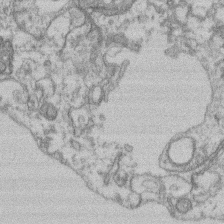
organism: Mouse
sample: T cell stromal cell synapse